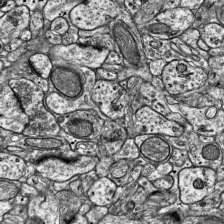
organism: Mouse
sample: Visual Cortex